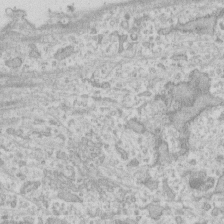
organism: Human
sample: Fibroblast cells